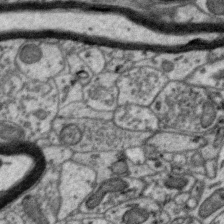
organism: Zebra finch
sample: Brain